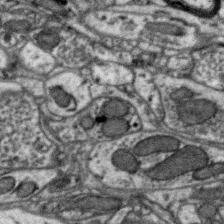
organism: Zebra finch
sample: Brain